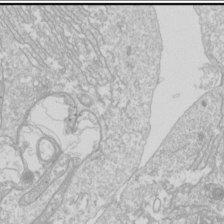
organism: Drosophila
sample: Cell division; meiosis; drosophila spermatocytes